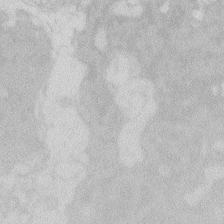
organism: Zebrafish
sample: Macrophage